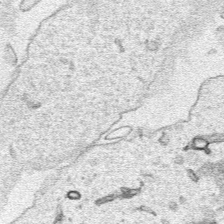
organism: Human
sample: Mitochondria in HCT116 cells